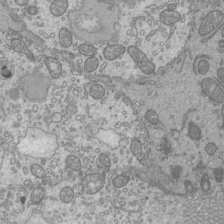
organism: Mouse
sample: Cilia; mouse epididymis